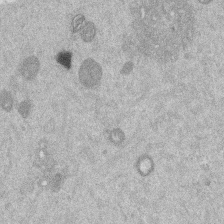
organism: Mouse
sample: Dividing mouse embryo 1 cell stage